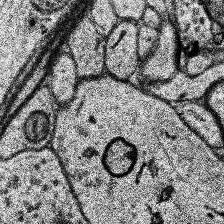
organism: Human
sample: Temporal Lobe